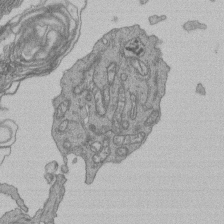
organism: Human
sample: Retinal organoid Rod and Cone cells